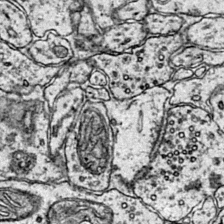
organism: Mouse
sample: Primary visual cortex